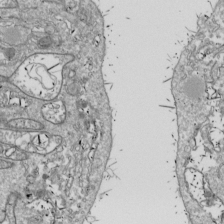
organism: Drosophila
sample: Cell division; meiosis; drosophila spermatocytes